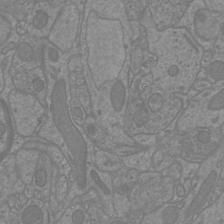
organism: Mouse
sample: Cortical neurons